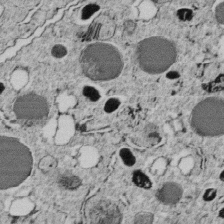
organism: C. elegans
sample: C. elegans embryo early stage